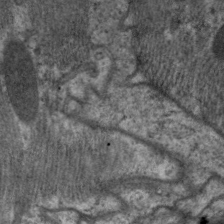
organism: C. elegans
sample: Pharynx